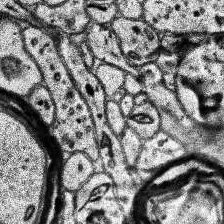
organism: Human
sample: Temporal Lobe